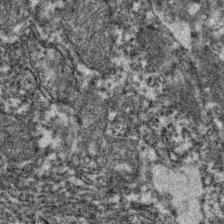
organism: Zebrafish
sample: Zebrafish embryo